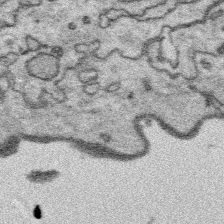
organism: Platynereis dumerilii